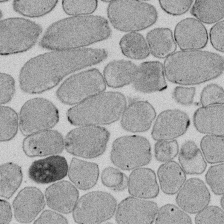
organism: E. coli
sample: Bacterial nucleoid